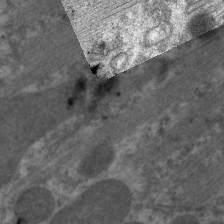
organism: C. elegans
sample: Pharynx